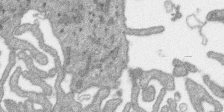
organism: Human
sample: Lung epithelial cells infected with SARS-CoV-2